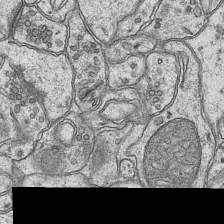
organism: Mouse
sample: CA1 Hippocampus